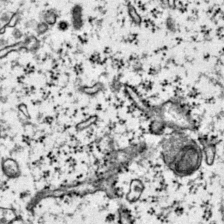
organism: Mouse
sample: Primary visual cortex